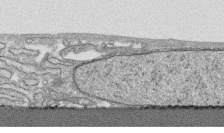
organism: Human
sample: CRL-1474